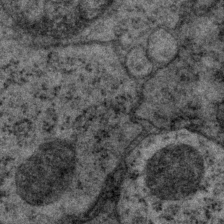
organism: P. pacificus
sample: Pharynx